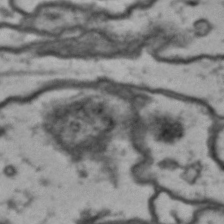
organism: Drosophila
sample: Brain